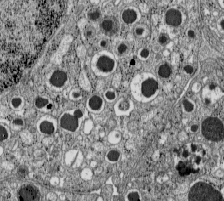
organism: C57BL Mouse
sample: Pancreatic islet